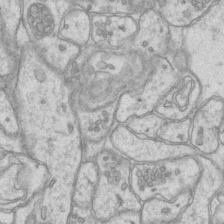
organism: Mouse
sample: CA1 Hippocampus